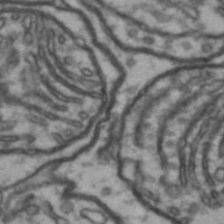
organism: Drosophila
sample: Brain